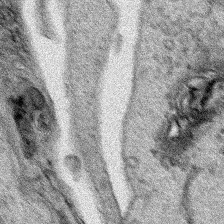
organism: Human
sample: Mitochondria in HCT116 cells